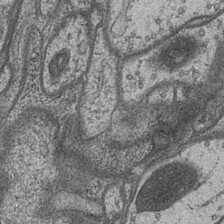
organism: Drosophila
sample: Optic medulla